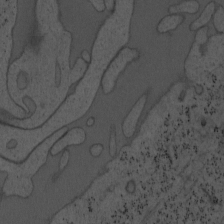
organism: Mouse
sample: OT-I killer T cells with ID8 ovarian cancer cells